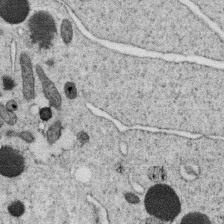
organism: C. elegans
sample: C. elegans oocyte; sperm cells